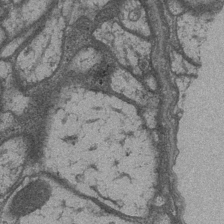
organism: Drosophila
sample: Optic medulla